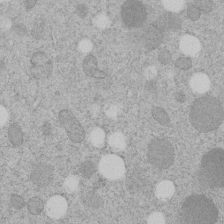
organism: C. elegans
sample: C. elegans embryo early stage